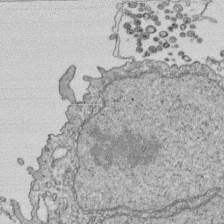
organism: Human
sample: HeLa cell HIV synapse